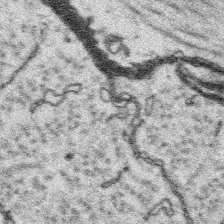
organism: Platynereis dumerilii